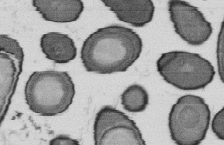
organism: B. subtilis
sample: Bacterial spore